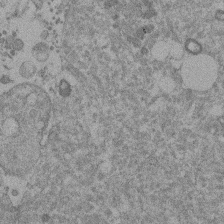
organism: Mouse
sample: Dividing mouse embryo 1 cell stage